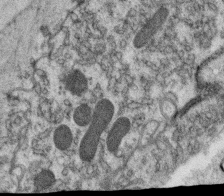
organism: C. elegans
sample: C. elegans oocyte; sperm cells